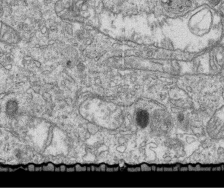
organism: Human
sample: HeLa cell HIV synapse